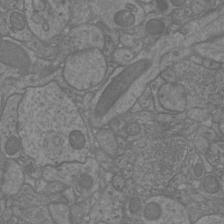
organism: Mouse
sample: Cortical neurons